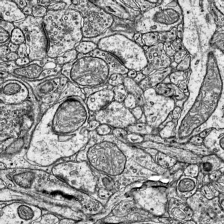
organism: Mouse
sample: Visual Cortex